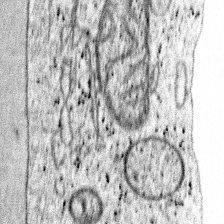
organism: Human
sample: HeLa cells